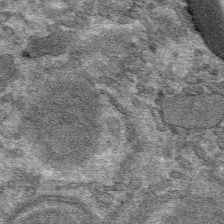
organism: Mouse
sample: Mouse hepatocytes